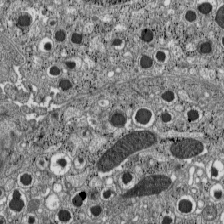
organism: C57BL Mouse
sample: Pancreatic islet